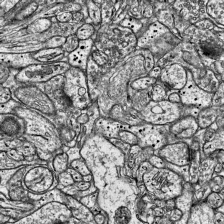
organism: Mouse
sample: Visual Cortex